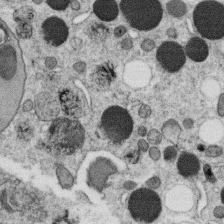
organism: C. elegans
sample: C. elegans oocyte; sperm cells